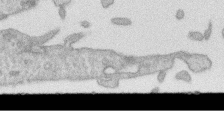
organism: Human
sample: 1205lu cells